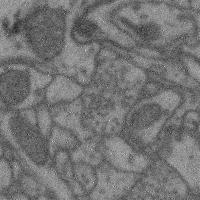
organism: Mouse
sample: Cerebral cortex